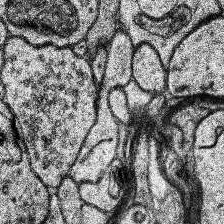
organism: Human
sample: Temporal Lobe